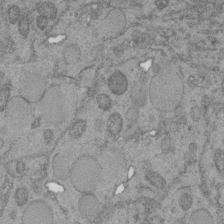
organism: C. elegans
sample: C. elegans embryo early stage